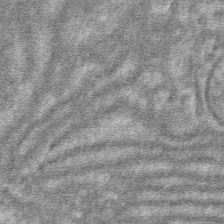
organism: Mouse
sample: Mouse hepatocytes